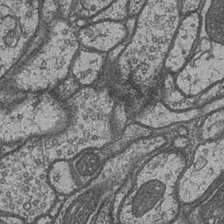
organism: Drosophila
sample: Optic medulla